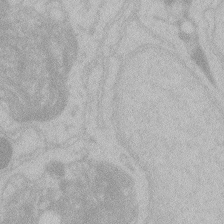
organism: Zebrafish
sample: Macrophage infected with Toxoplasma gondii